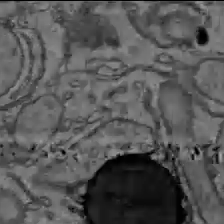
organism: C57BL Mouse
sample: Liver